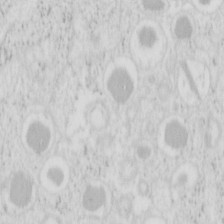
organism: Mouse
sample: Pancreas